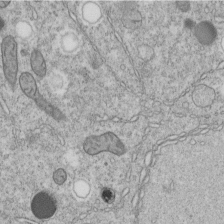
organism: C. elegans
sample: C. elegans embryo early stage